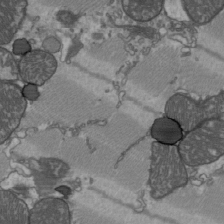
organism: C57BL Mouse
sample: Heart